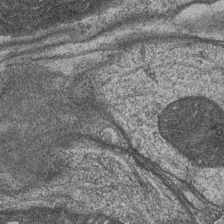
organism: Drosophila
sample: Optic medulla